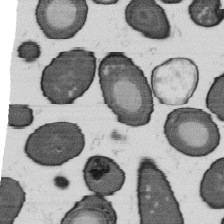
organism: B. subtilis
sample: Bacterial spore